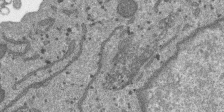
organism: Human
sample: Lung epithelial cells infected with SARS-CoV-2